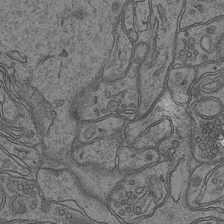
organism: Mouse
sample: CA1 Hippocampus